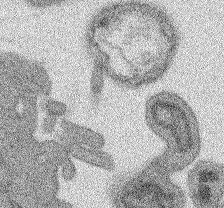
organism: Human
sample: HeLa cells